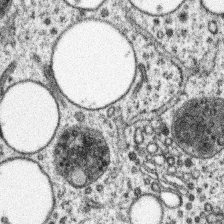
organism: Human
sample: HeLa cells